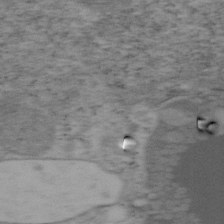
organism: Mouse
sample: OT-I killer T cells with ID8 ovarian cancer cells